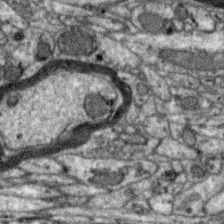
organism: Zebra finch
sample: Brain